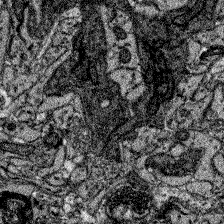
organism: Zebrafish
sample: Larval olfactory bulb